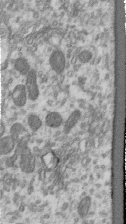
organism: Human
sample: Centriole in RPE cells